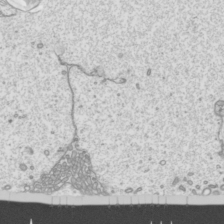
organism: Mouse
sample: Cilia; mouse epididymis